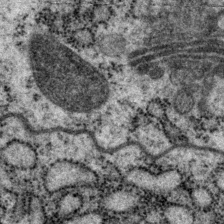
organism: P. pacificus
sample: Pharynx